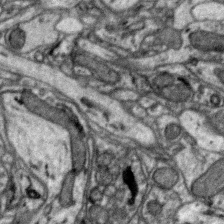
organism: Zebra finch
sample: Brain